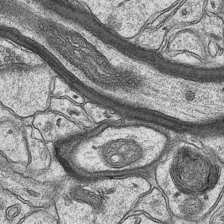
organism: Mouse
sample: CA1 Hippocampus